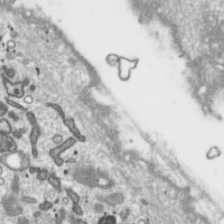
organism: Toxoplasma gondii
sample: Parasites in a vacuole inside a host cell